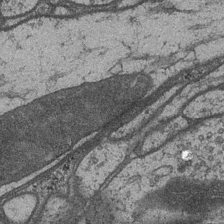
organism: Drosophila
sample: Optic medulla